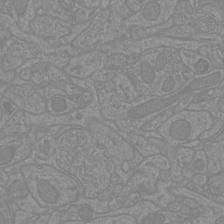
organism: Mouse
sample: Cortical neurons